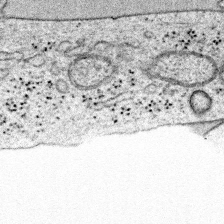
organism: Human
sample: HeLa cells